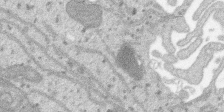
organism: Human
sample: Lung epithelial cells infected with SARS-CoV-2